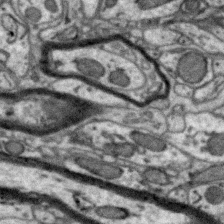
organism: Zebra finch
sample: Brain